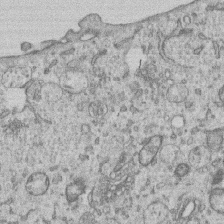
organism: Human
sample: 1205lu cells